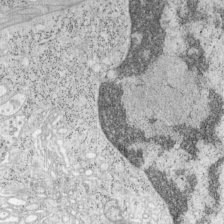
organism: Mouse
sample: OT-I killer T cells with ID8 ovarian cancer cells